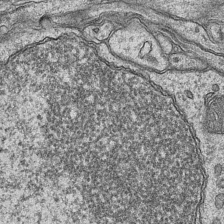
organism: Mouse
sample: CA1 Hippocampus